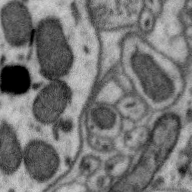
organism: Zebra finch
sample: Brain